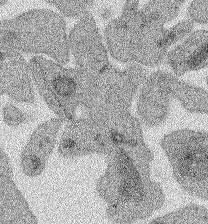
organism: Human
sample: HeLa cells